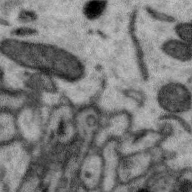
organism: Zebra finch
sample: Brain